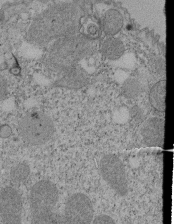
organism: Tetrahymena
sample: Cilia in tetrahymena